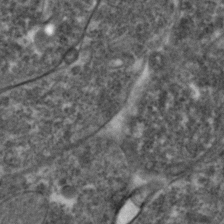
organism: Zebrafish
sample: Zebrafish embryo